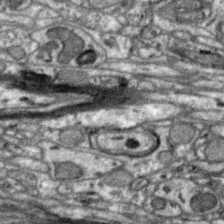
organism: Zebra finch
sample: Brain